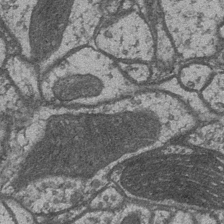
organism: Drosophila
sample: Optic medulla